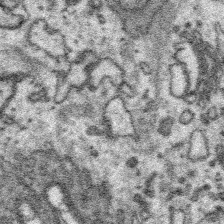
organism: Platynereis dumerilii